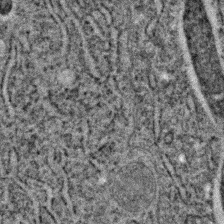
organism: C. elegans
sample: C. elegans embryo